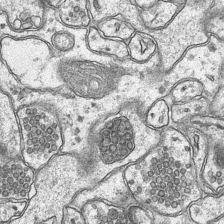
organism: Mouse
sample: CA1 Hippocampus